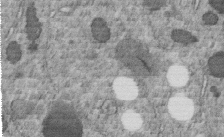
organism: C. elegans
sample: C. elegans embryo early stage